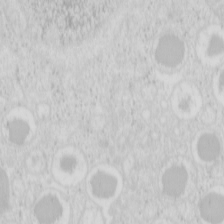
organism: Mouse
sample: Pancreas